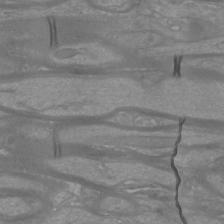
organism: Mouse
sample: Cortical neurons